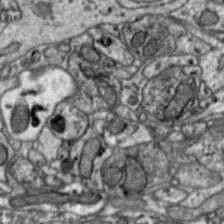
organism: Zebra finch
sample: Brain